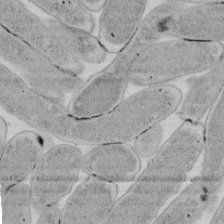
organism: E. coli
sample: Bacterial nucleoid